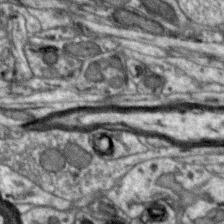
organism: Zebra finch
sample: Brain